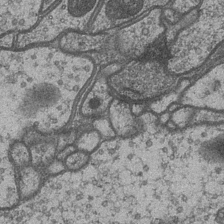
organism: Drosophila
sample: Optic medulla